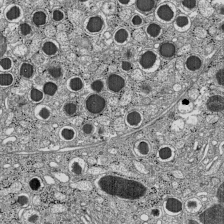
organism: C57BL Mouse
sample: Pancreatic islet